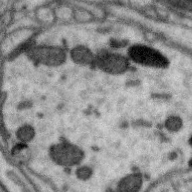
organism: Zebra finch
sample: Brain